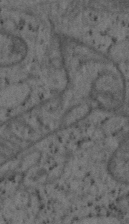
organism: Human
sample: HeLa cells